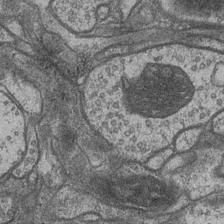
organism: Drosophila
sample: Optic medulla